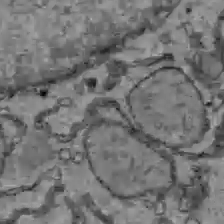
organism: C57BL Mouse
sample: Liver